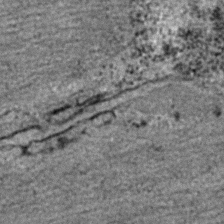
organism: C. elegans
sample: C. elegans embryo